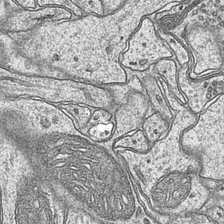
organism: Mouse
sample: CA1 Hippocampus